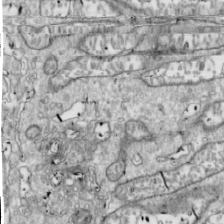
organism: Drosophila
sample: Cell division; meiosis; drosophila spermatocytes